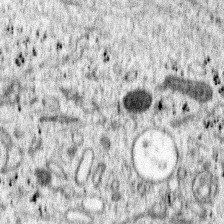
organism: Human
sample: HeLa cells